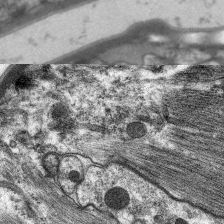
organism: C. elegans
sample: Pharynx